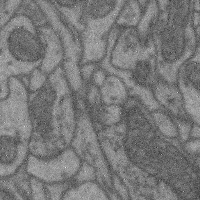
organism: Mouse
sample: Cerebral cortex